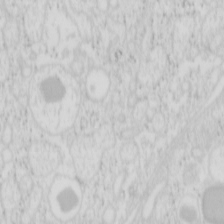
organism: Mouse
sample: Pancreas